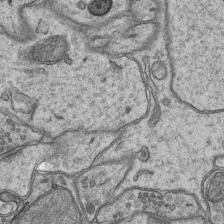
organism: Mouse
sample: CA1 Hippocampus